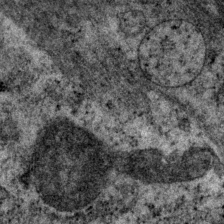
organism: P. pacificus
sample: Pharynx